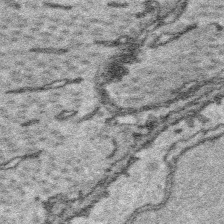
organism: Platynereis dumerilii